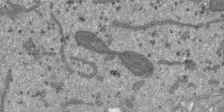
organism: Human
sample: Lung epithelial cells infected with SARS-CoV-2